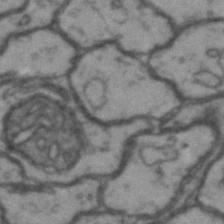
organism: Drosophila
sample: Brain